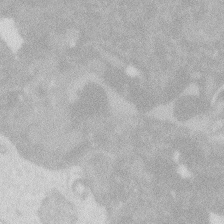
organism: Zebrafish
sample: Macrophage